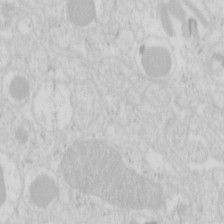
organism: Mouse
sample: Pancreas